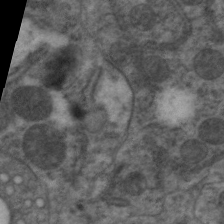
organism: C. elegans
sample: Pharynx